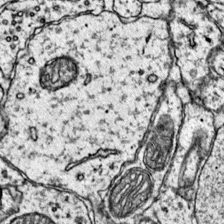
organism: Mouse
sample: Primary visual cortex